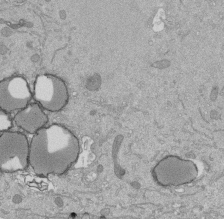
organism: Mouse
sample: ED-1 cell nuclei; centrioles